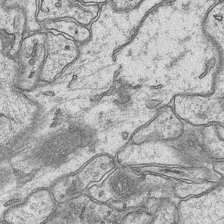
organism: Mouse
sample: CA1 Hippocampus